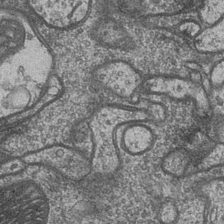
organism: Drosophila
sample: Optic medulla